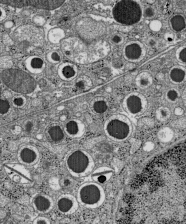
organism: C57BL Mouse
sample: Pancreatic islet